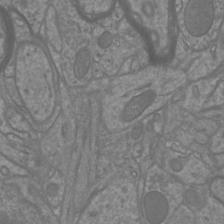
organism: Mouse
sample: Cortical neurons